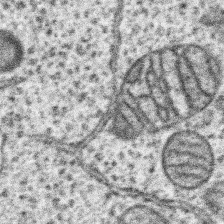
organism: Human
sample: HeLa cells